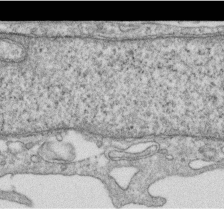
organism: Human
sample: Centriole in RPE cells